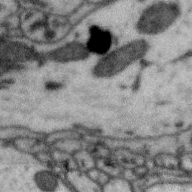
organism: Zebra finch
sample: Brain